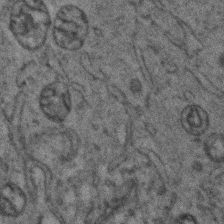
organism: Zebrafish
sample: Zebrafish embryo